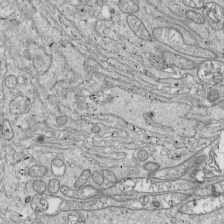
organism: Drosophila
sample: Cell division; meiosis; drosophila spermatocytes